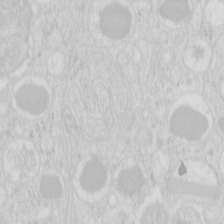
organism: Mouse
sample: Pancreas